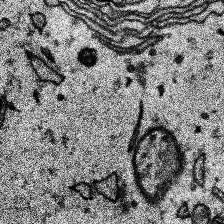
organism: Human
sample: Temporal Lobe